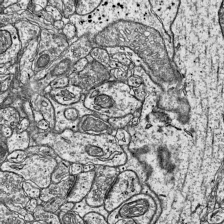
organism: Mouse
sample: Visual Cortex